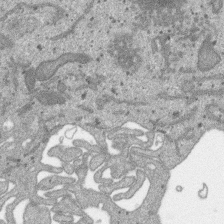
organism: Human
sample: Lung epithelial cells infected with SARS-CoV-2